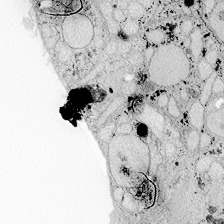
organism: Zebrafish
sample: Whole-Brain